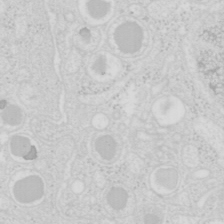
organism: Mouse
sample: Pancreas